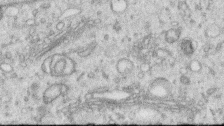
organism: Human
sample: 1205lu cells